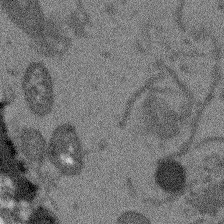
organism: Arabidopsis thaliana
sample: Root tip